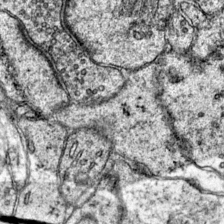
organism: Mouse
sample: Primary visual cortex